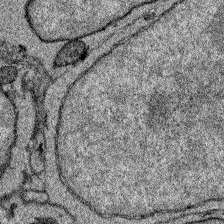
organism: Zebrafish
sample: Larval olfactory bulb